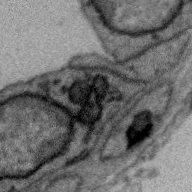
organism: Zebra finch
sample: Brain